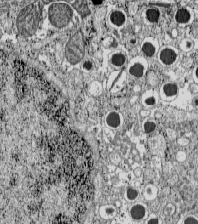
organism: C57BL Mouse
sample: Pancreatic islet